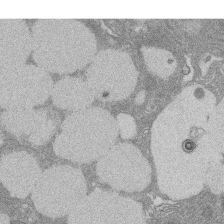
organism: Rat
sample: Salivary granule